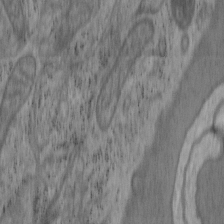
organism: Human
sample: HeLa cells